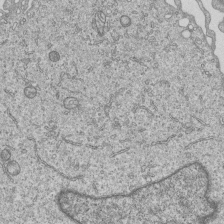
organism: Human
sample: MDA-MB-231 cells